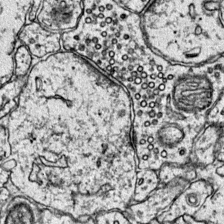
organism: Mouse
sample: Primary visual cortex